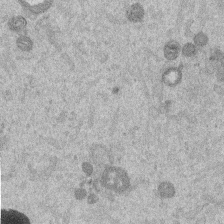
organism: Mouse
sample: Dividing mouse embryo 1 cell stage